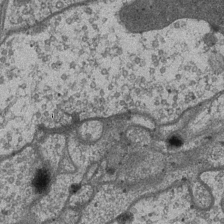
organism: Drosophila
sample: Optic medulla